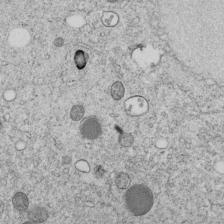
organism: C. elegans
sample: C. elegans embryo early stage